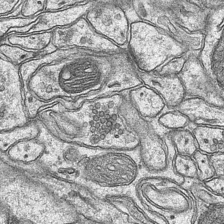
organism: Mouse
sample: CA1 Hippocampus